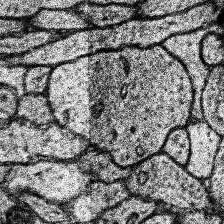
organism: Human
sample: Temporal Lobe